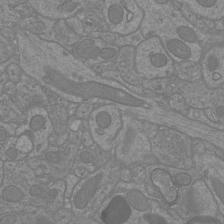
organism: Mouse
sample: Cortical neurons